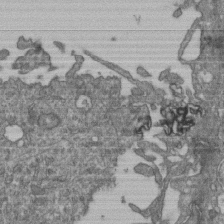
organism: Human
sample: Retinal organoid Rod and Cone cells